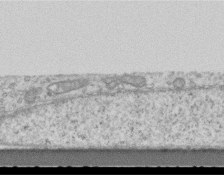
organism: Mouse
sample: Centriole in ependymal cells